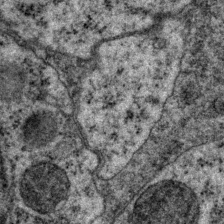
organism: P. pacificus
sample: Pharynx